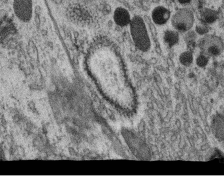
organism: C. elegans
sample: C. elegans oocyte; sperm cells